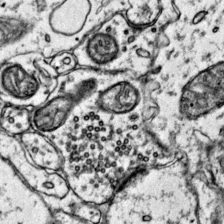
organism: Mouse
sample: Primary visual cortex